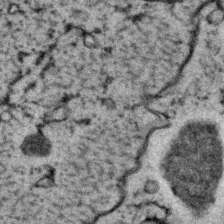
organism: C. elegans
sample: C. elegans embryo